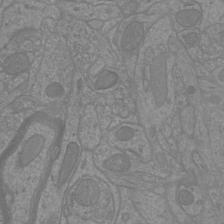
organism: Mouse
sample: Cortical neurons